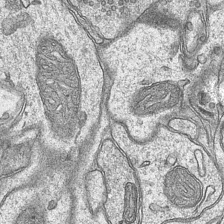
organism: Mouse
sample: CA1 Hippocampus